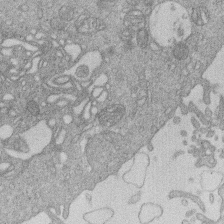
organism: Human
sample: Macrophage cells